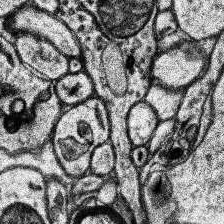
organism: Human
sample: Temporal Lobe